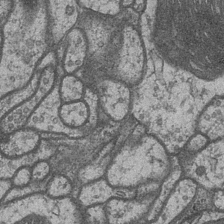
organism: Drosophila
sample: Optic medulla